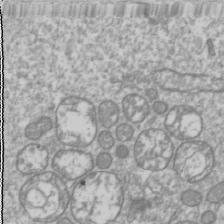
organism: Drosophila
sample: Cell division; meiosis; drosophila spermatocytes